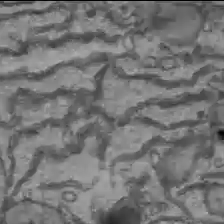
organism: C57BL Mouse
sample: Liver